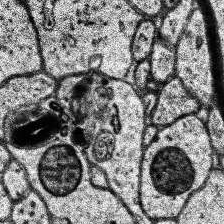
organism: Human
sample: Temporal Lobe